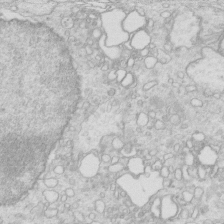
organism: Mouse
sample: Multiciliated cells